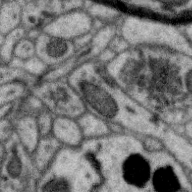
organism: Zebra finch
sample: Brain